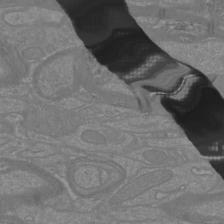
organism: Mouse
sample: Cortical neurons